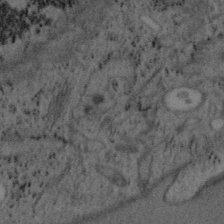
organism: Human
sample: HeLa cells